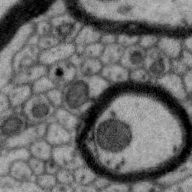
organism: Zebra finch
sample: Brain